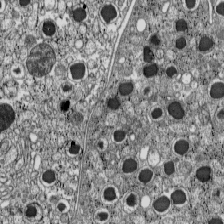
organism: C57BL Mouse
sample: Pancreatic islet